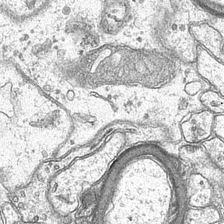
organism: Mouse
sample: CA1 Hippocampus